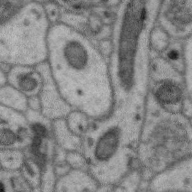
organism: Zebra finch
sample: Brain